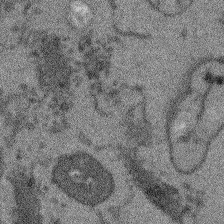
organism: Arabidopsis thaliana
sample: Root tip